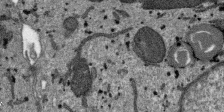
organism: Human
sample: Lung epithelial cells, uninfected (mock) control